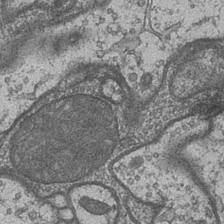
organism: Drosophila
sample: Optic medulla